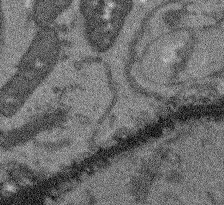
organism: Arabidopsis thaliana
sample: Root tip